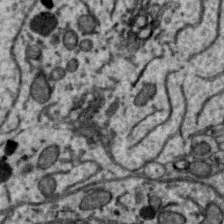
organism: Zebra finch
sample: Brain